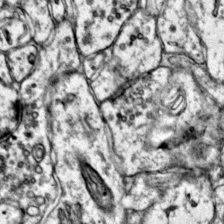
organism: Mouse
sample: Primary visual cortex